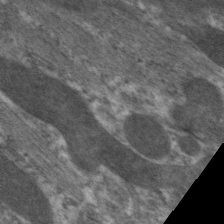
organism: C. elegans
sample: Pharynx